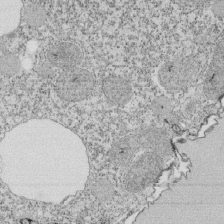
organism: Tetrahymena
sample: Cilia in tetrahymena